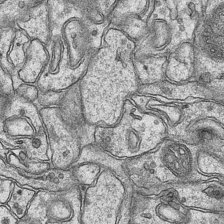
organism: Mouse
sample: CA1 Hippocampus